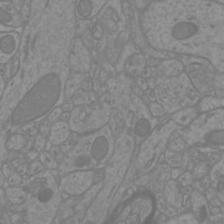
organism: Mouse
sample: Cortical neurons